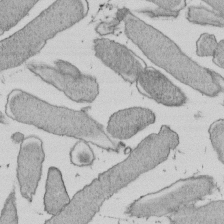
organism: E. coli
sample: Bacterial nucleoid